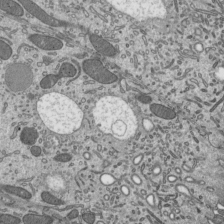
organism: Mouse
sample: Mouse epididymis efferent ductule cilia